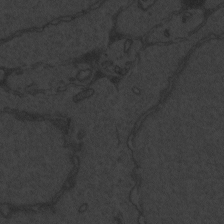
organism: Zebrafish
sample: Macrophage infected with Toxoplasma gondii